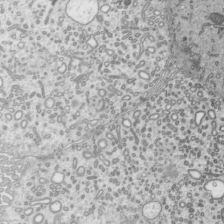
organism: Mouse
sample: Mouse epididymis efferent ductule cilia